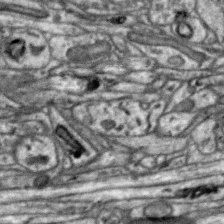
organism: Zebra finch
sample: Brain